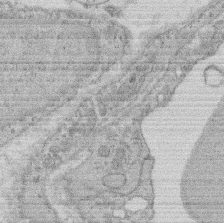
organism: Rat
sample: Salivary granule